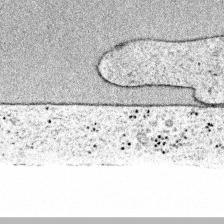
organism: Human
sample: HeLa cells